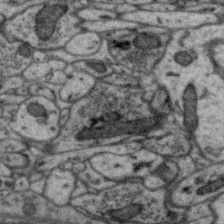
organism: Zebra finch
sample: Brain